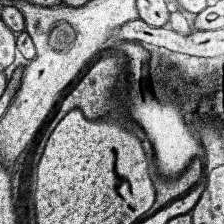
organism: Human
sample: Temporal Lobe